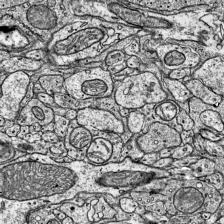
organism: Mouse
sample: Visual Cortex